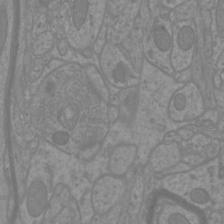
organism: Mouse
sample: Cortical neurons